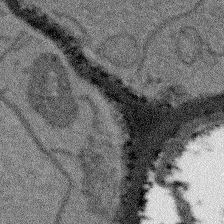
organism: Arabidopsis thaliana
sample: Root tip